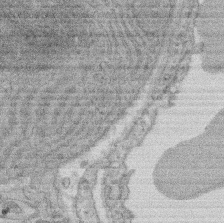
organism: Rat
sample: Salivary granule